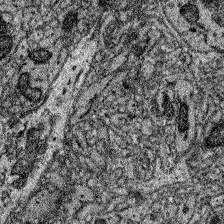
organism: Zebrafish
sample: Larval olfactory bulb